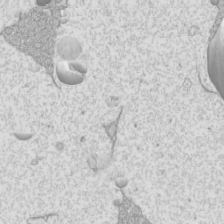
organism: Mouse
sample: Cilia; mouse epididymis